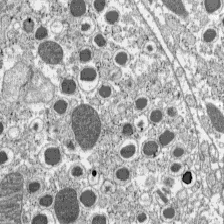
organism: C57BL Mouse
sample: Pancreatic islet